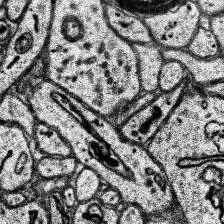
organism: Human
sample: Temporal Lobe